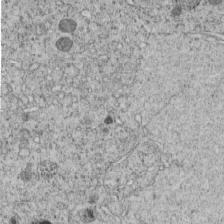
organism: C. elegans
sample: C. elegans embryo early stage